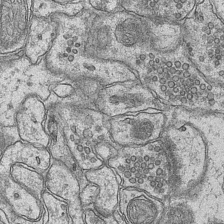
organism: Mouse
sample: CA1 Hippocampus